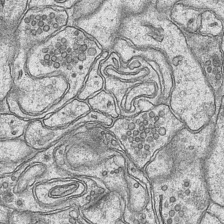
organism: Mouse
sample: CA1 Hippocampus